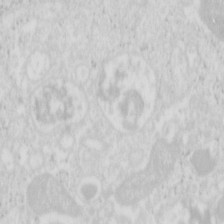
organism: Mouse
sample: Pancreas